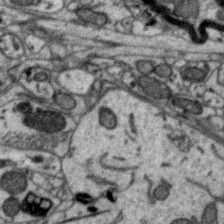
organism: Zebra finch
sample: Brain